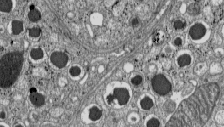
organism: C57BL Mouse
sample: Pancreatic islet